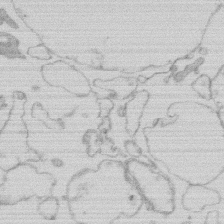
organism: Human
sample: Macrophage cells